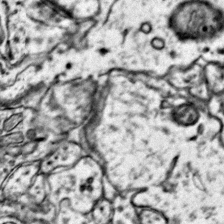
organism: Mouse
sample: Primary visual cortex